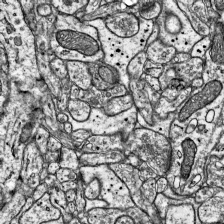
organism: Mouse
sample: Visual Cortex